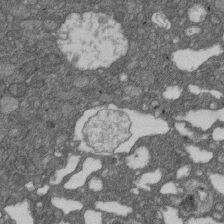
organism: Drosophila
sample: Nephrocyte